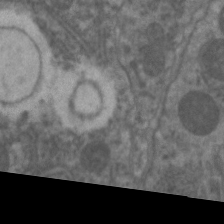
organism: C. elegans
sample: Pharynx